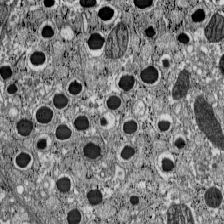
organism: C57BL Mouse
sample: Pancreatic islet